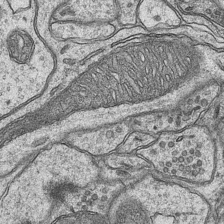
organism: Mouse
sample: CA1 Hippocampus